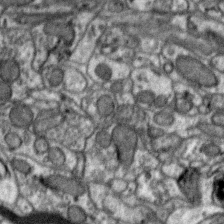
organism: Zebra finch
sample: Brain